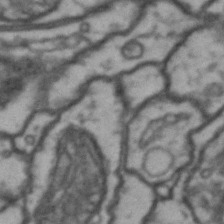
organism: Drosophila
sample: Brain